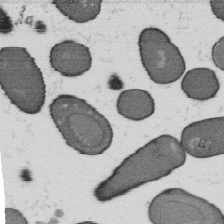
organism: B. subtilis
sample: Bacterial spore